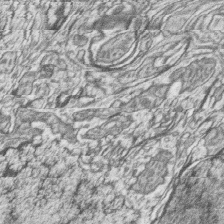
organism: Zebrafish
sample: synaptic ribbons in rod cells and cone cells